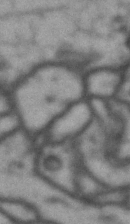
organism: Drosophila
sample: Brain